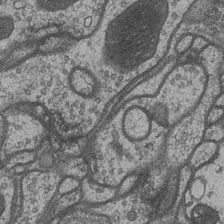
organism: Drosophila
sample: Optic medulla